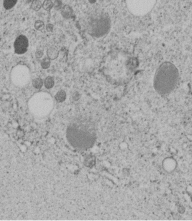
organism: C. elegans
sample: C. elegans embryo early stage